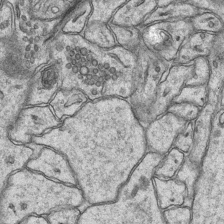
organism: Mouse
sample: CA1 Hippocampus